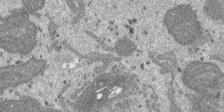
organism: Human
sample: Lung epithelial cells infected with SARS-CoV-2